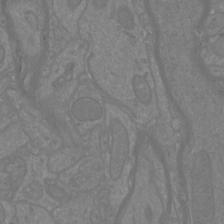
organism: Mouse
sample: Cortical neurons